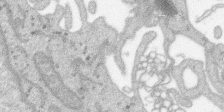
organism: Human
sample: Lung epithelial cells infected with SARS-CoV-2